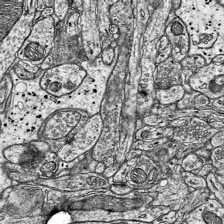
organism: Mouse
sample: Visual Cortex